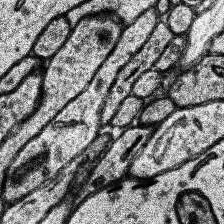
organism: Human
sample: Temporal Lobe